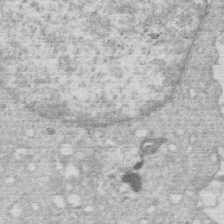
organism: Human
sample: Macrophage cells